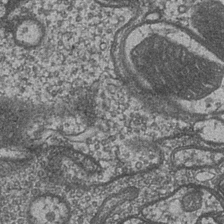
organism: Drosophila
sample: Optic medulla